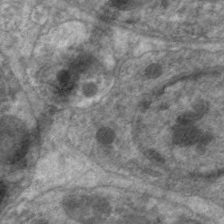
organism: C. elegans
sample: Pharynx